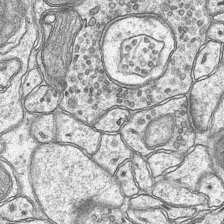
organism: Mouse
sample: CA1 Hippocampus